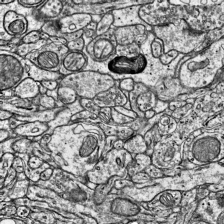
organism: Mouse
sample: Visual Cortex